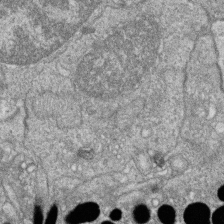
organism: Zebrafish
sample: Cilia; retinal pigment epithelium